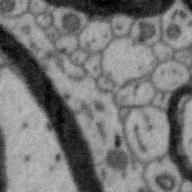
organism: Zebra finch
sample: Brain